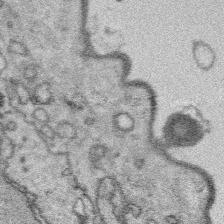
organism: Platynereis dumerilii